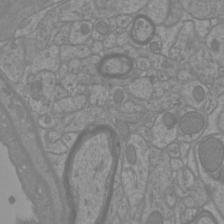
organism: Mouse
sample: Cortical neurons